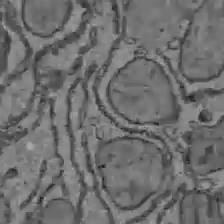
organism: C57BL Mouse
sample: Liver